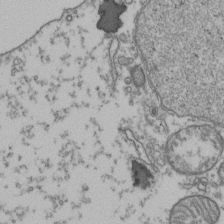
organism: Human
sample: Activated Jurkat CD4+ T cells